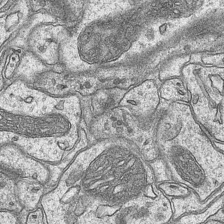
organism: Mouse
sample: CA1 Hippocampus